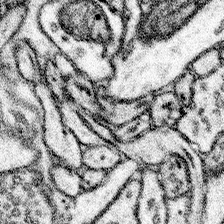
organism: Mouse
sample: Somatosensory cortex neuropil